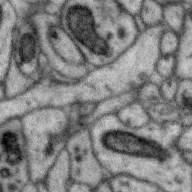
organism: Zebra finch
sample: Brain